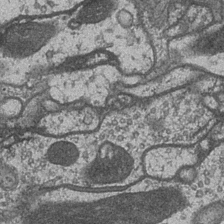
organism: Drosophila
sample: Optic medulla